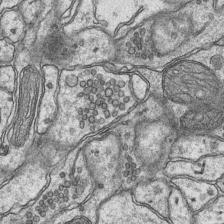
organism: Mouse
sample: CA1 Hippocampus